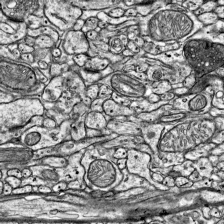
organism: Mouse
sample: Visual Cortex